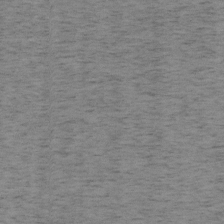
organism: Mouse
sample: OT-I killer T cells with ID8 ovarian cancer cells